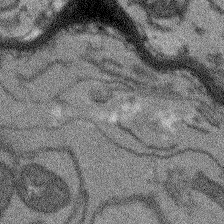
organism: Arabidopsis thaliana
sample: Root tip